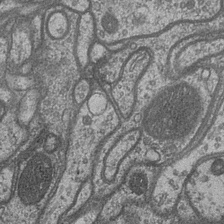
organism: Drosophila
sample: Optic medulla